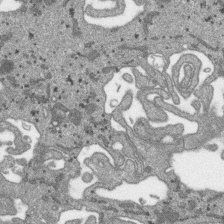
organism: Human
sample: Lung epithelial cells infected with SARS-CoV-2